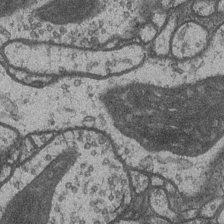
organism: Drosophila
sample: Optic medulla